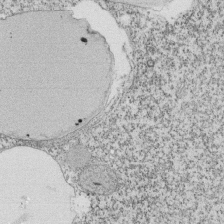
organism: Tetrahymena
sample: Cilia in tetrahymena